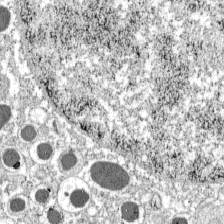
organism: C57BL Mouse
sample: Pancreatic islet